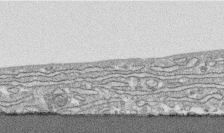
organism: Human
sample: CRL-1474